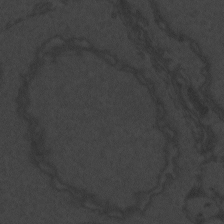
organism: Zebrafish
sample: Macrophage infected with Toxoplasma gondii